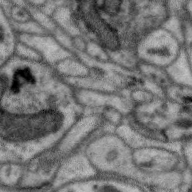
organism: Zebra finch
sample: Brain